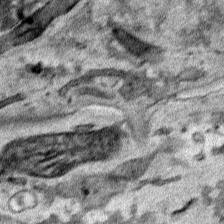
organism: Human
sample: Mitochondria in HCT116 cells